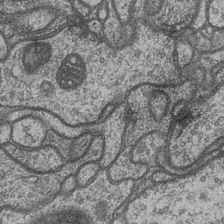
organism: Drosophila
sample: Optic medulla